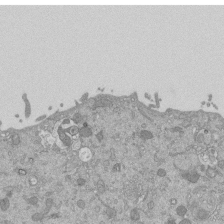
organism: Mouse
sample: ED-1 cell nuclei; centrioles